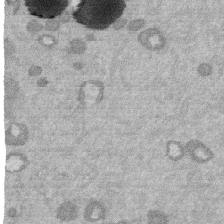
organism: Mouse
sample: Dividing mouse embryo 1 cell stage